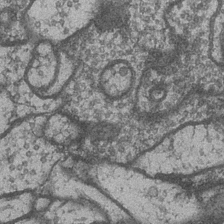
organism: Drosophila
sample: Optic medulla